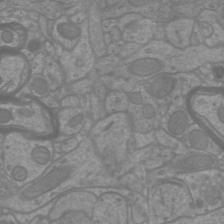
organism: Mouse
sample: Cortical neurons